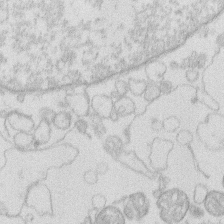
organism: Human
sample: Macrophage cells